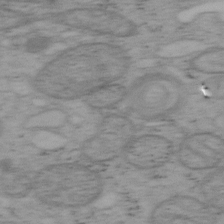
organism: Mouse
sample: OT-I killer T cells with ID8 ovarian cancer cells